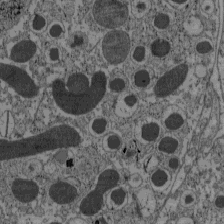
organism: C57BL Mouse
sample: Pancreatic islet